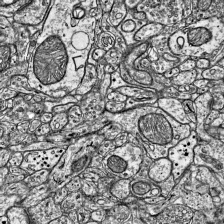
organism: Mouse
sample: Visual Cortex